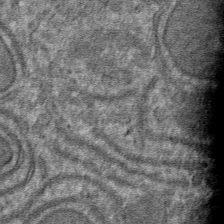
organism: Mouse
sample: Mouse hepatocytes